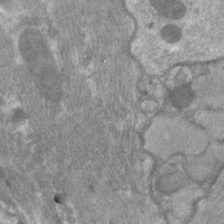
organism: C. elegans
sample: Pharynx